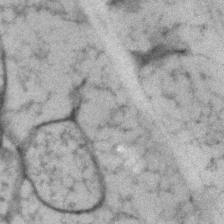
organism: Human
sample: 1205lu cells